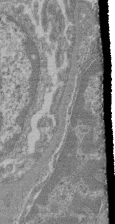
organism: Mouse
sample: Glomerulus